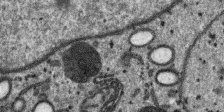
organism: Human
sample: Lung epithelial cells infected with SARS-CoV-2